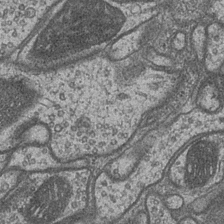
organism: Drosophila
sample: Optic medulla